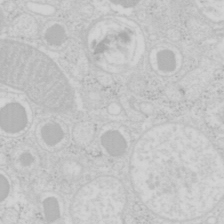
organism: Mouse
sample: Pancreas